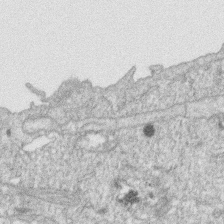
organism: Human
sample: HeLa cell HIV synapse